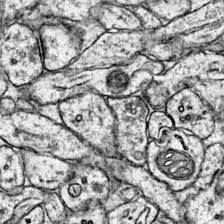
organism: Mouse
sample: Primary visual cortex